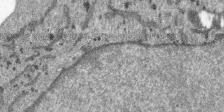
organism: Human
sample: Lung epithelial cells infected with SARS-CoV-2